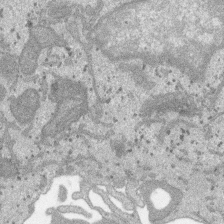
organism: Human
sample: Lung epithelial cells infected with SARS-CoV-2